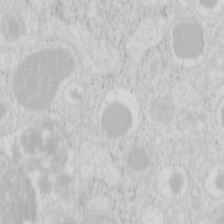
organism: Mouse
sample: Pancreas